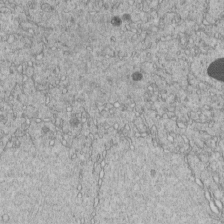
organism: C. elegans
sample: C. elegans embryo early stage